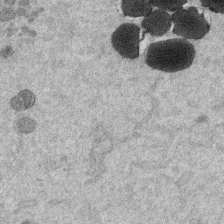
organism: Mouse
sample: Dividing mouse embryo 1 cell stage